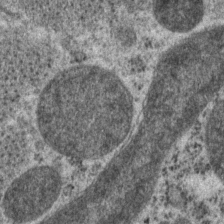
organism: P. pacificus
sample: Pharynx